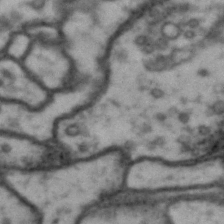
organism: Drosophila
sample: Brain